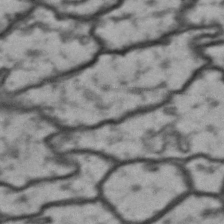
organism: Drosophila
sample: Brain